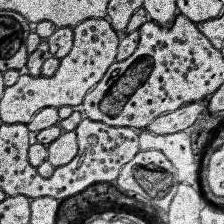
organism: Human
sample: Temporal Lobe